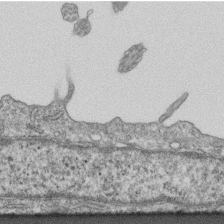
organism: Mouse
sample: Centriole in ependymal cells